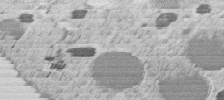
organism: C. elegans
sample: C. elegans embryo early stage